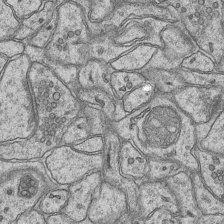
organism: Mouse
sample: CA1 Hippocampus